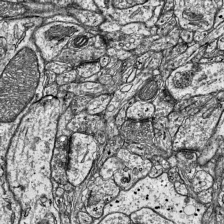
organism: Mouse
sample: Visual Cortex